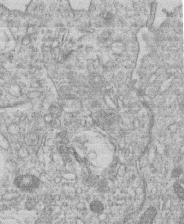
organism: Human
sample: Macrophage cells